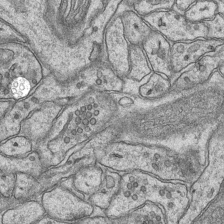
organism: Mouse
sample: CA1 Hippocampus